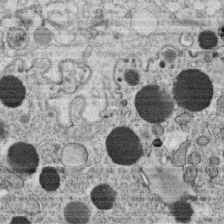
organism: C. elegans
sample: C. elegans oocyte; sperm cells